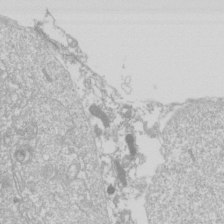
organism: Drosophila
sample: Cell division; meiosis; drosophila spermatocytes